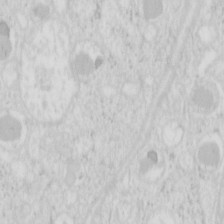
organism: Mouse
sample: Pancreas